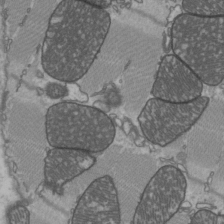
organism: C57BL Mouse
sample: Heart